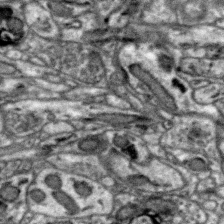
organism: Zebra finch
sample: Brain